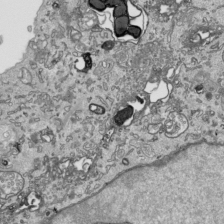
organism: Human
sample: Mitochondria in HCT116 cells